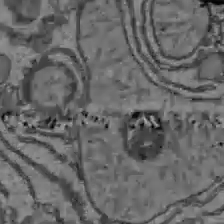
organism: C57BL Mouse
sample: Liver